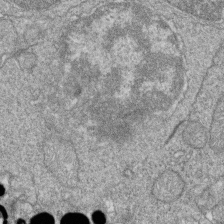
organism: Zebrafish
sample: Cilia; retinal pigment epithelium